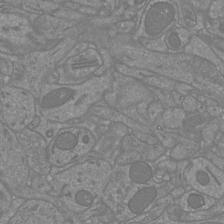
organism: Mouse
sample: Cortical neurons